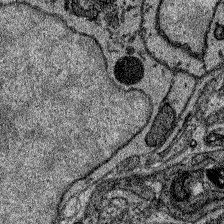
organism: Zebrafish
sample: Larval olfactory bulb